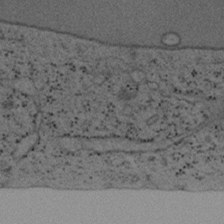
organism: Human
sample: HeLa cells